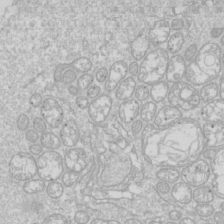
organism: Drosophila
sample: Cell division; meiosis; drosophila spermatocytes